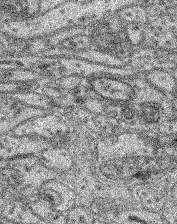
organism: Mouse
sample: Retina